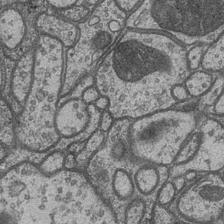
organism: Drosophila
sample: Optic medulla